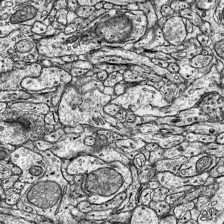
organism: Mouse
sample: Visual Cortex